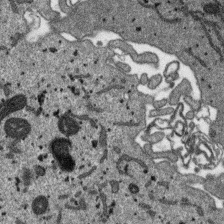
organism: Human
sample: Lung epithelial cells infected with SARS-CoV-2